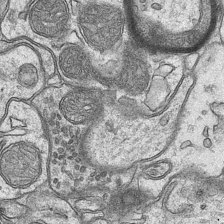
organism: Mouse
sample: CA1 Hippocampus